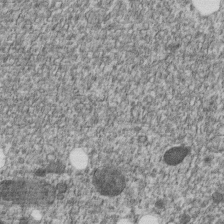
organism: C. elegans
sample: C. elegans embryo early stage